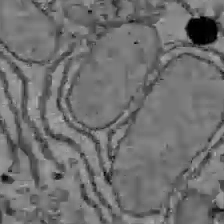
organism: C57BL Mouse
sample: Liver